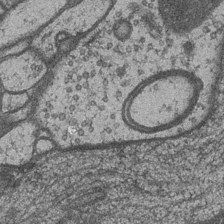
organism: Drosophila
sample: Optic medulla